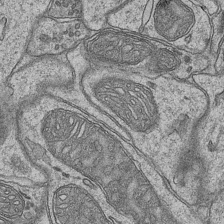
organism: Mouse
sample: CA1 Hippocampus